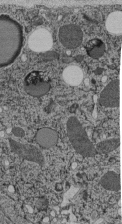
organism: C. elegans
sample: C. elegans pharynx